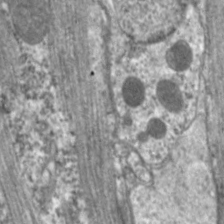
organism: C. elegans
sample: Pharynx